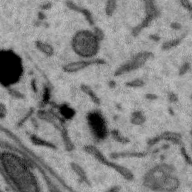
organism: Zebra finch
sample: Brain